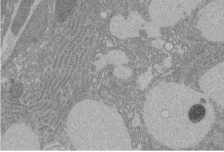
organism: Rat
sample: Salivary granule